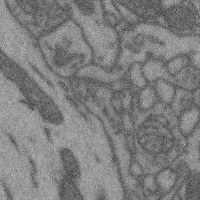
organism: Mouse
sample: Cerebral cortex